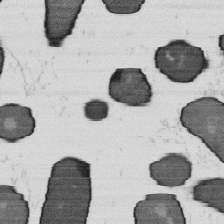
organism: B. subtilis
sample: Bacterial spore